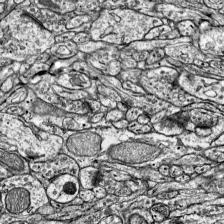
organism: Mouse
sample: Visual Cortex